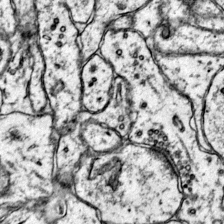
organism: Mouse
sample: Primary visual cortex